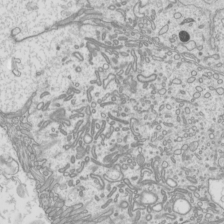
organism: Mouse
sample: Cilia; mouse epididymis